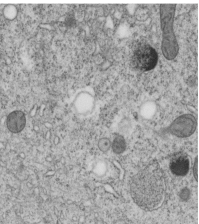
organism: C. elegans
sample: C. elegans embryo early stage